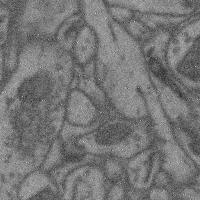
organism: Mouse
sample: Cerebral cortex